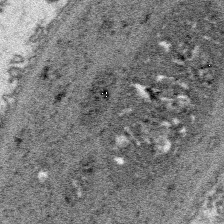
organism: Platynereis dumerilii